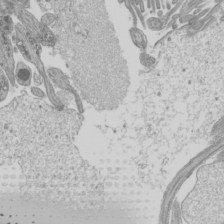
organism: Mouse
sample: Cilia; mouse epididymis